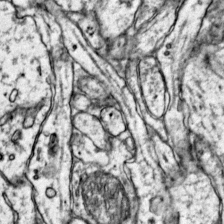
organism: Mouse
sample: Primary visual cortex